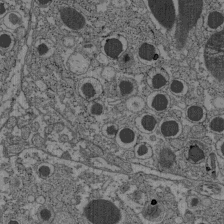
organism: C57BL Mouse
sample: Pancreatic islet